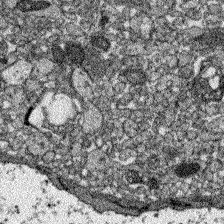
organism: Zebrafish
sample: Larval olfactory bulb